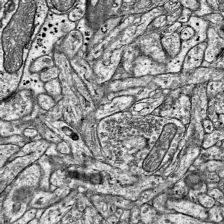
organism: Mouse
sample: Visual Cortex